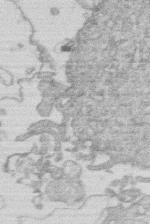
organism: Human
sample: Macrophage cells